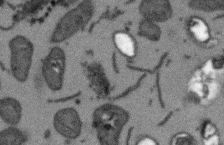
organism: Arabidopsis thaliana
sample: Root tip